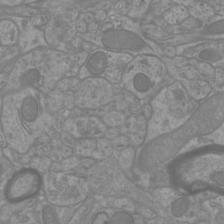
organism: Mouse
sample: Cortical neurons